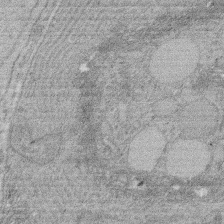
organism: Rat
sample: Salivary granule